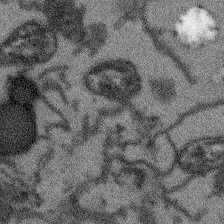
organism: Arabidopsis thaliana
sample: Root tip